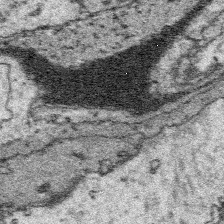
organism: Platynereis dumerilii